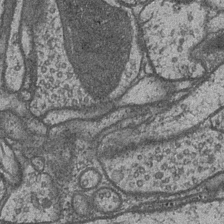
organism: Drosophila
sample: Optic medulla